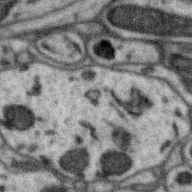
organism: Zebra finch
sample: Brain